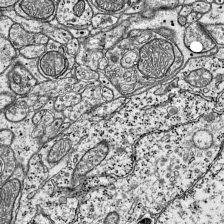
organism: Mouse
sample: Visual Cortex